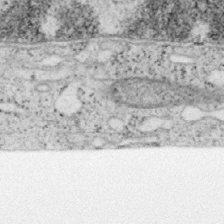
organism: Mouse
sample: OT-I killer T cells with ID8 ovarian cancer cells